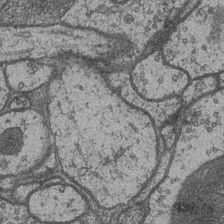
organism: Drosophila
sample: Optic medulla